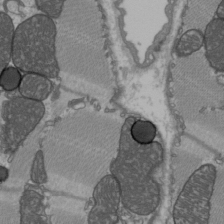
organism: C57BL Mouse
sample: Heart